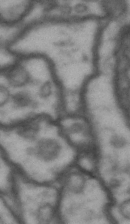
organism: Drosophila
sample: Brain